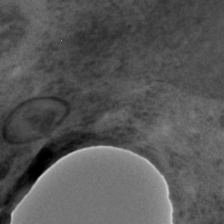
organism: C. elegans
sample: C. elegans embryo